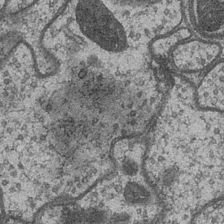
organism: Drosophila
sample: Optic medulla